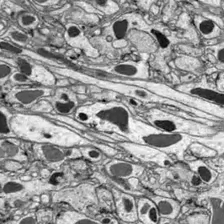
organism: Drosophila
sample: Optic lobe